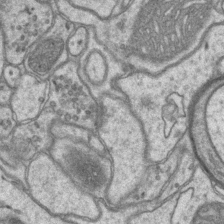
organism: Mouse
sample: CA1 Hippocampus